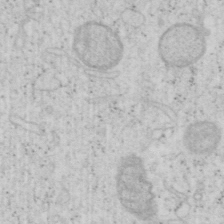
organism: Human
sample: HeLa cells